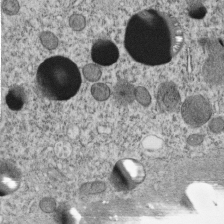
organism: C. elegans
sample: C. elegans embryo early stage